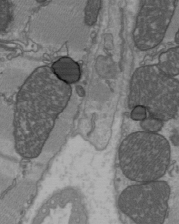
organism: C57BL Mouse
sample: Heart